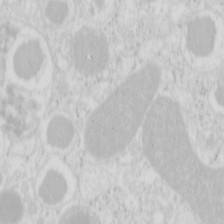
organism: Mouse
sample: Pancreas